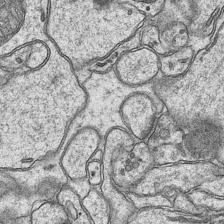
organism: Mouse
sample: CA1 Hippocampus